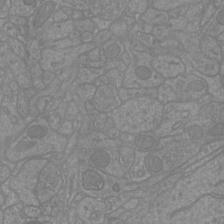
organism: Mouse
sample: Cortical neurons